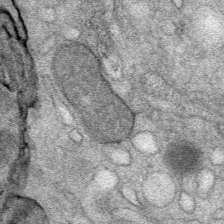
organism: Mouse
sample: Mouse Salivary gland